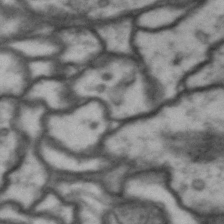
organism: Drosophila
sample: Brain